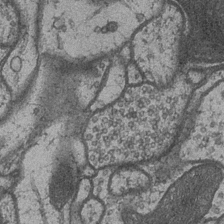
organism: Drosophila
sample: Optic medulla